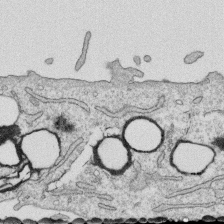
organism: Human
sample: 1205lu cells